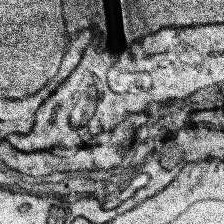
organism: Human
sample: Temporal Lobe